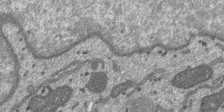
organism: Human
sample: Lung epithelial cells infected with SARS-CoV-2